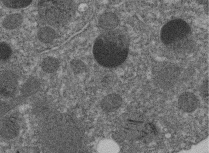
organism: C. elegans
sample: C. elegans embryo early stage